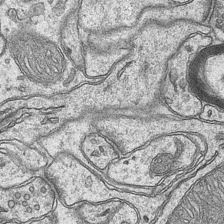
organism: Mouse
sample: CA1 Hippocampus